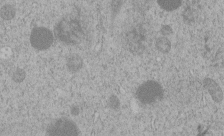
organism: C. elegans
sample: C. elegans embryo early stage